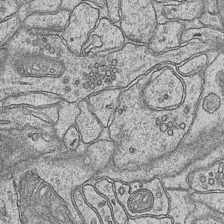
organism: Mouse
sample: CA1 Hippocampus